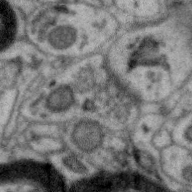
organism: Zebra finch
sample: Brain